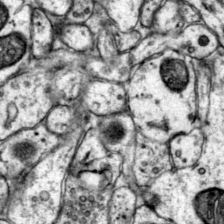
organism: Mouse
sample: Primary visual cortex